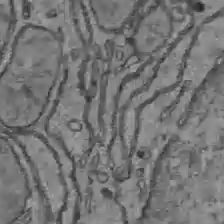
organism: C57BL Mouse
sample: Liver